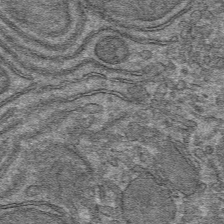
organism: Mouse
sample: Mouse hepatocytes